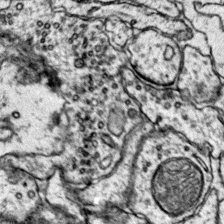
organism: Mouse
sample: Primary visual cortex